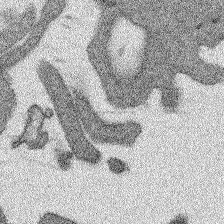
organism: Human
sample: HeLa cells